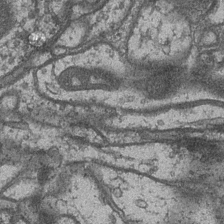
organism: Drosophila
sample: Optic medulla